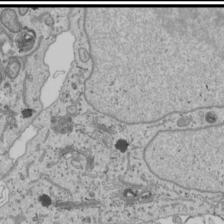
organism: Human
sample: Mitochondria in U2OS cells